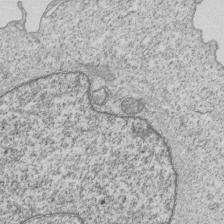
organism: Human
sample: MDA-MB-231 cells